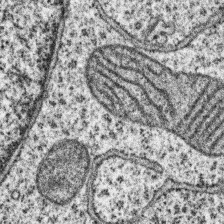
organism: Human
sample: HeLa cells